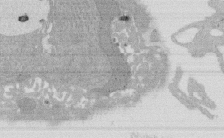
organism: Rat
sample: Salivary granule